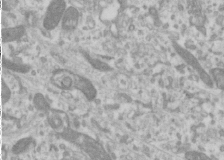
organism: Human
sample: Cilia; basal body in RPE cells